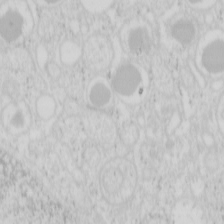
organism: Mouse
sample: Pancreas